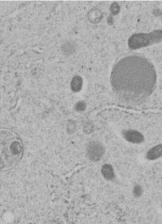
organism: C. elegans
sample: C. elegans embryo early stage